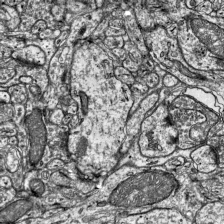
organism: Mouse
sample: Visual Cortex